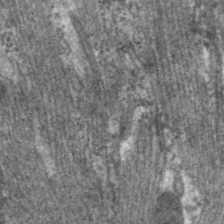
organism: C. elegans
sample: Pharynx